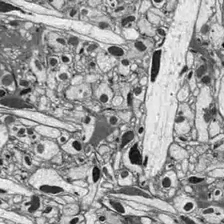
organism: Drosophila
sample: Optic lobe